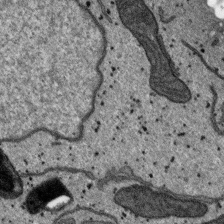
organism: Human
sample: Lung epithelial cells, uninfected (mock) control